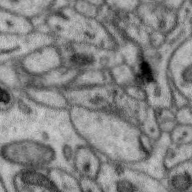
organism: Zebra finch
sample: Brain